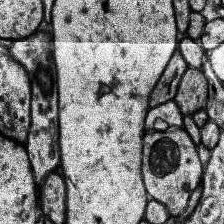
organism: Human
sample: Temporal Lobe